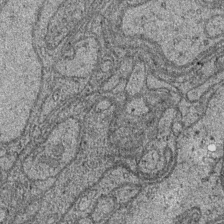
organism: Drosophila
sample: Optic medulla